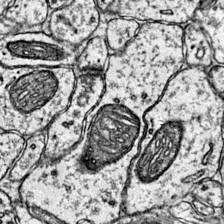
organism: Mouse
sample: Primary visual cortex